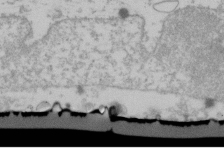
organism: Human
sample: U2-OS cells